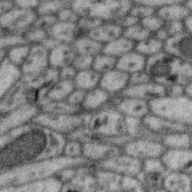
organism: Zebra finch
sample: Brain